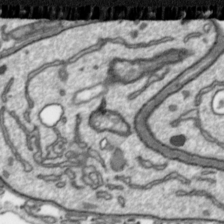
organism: Toxoplasma gondii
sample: Parasites in a vacuole inside a host cell